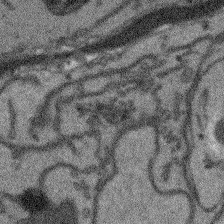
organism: Arabidopsis thaliana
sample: Root tip